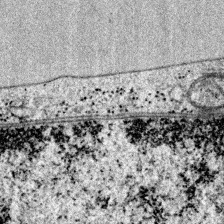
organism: Human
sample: HeLa cells